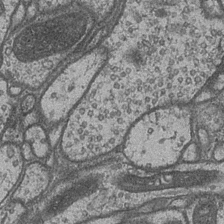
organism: Drosophila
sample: Optic medulla